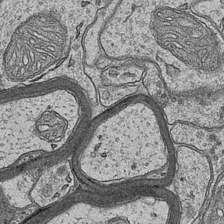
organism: Mouse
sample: CA1 Hippocampus